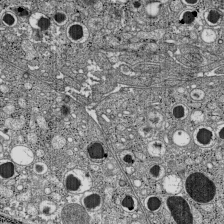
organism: C57BL Mouse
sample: Pancreatic islet